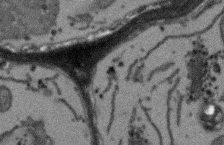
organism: Arabidopsis thaliana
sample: Root tip